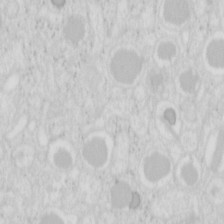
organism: Mouse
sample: Pancreas